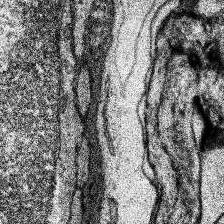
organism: Human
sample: Temporal Lobe